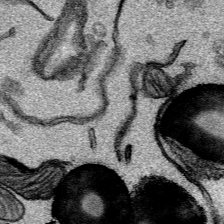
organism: Mouse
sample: Cancer cell death in ED-1 cells